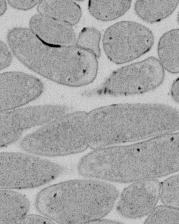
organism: E. coli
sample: Bacterial nucleoid